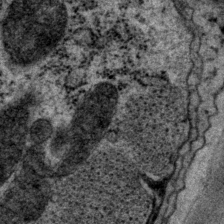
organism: P. pacificus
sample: Pharynx